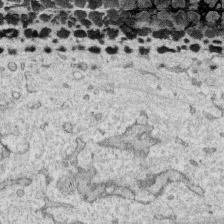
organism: Human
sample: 1205lu cells